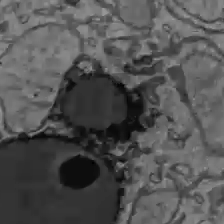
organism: C57BL Mouse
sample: Liver